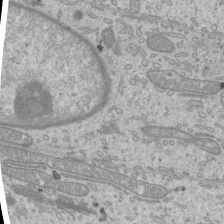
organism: Mouse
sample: Cilia; mouse epididymis